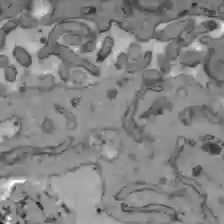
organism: C57BL Mouse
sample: Liver